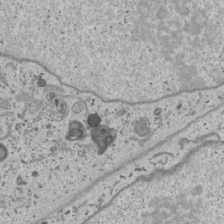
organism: Human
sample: Mitochondria in U2OS cells